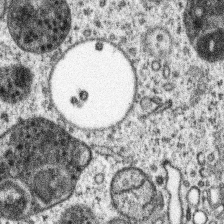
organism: Human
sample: HeLa cells